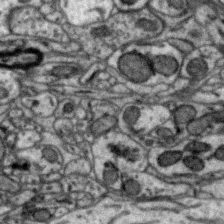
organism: Zebra finch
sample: Brain